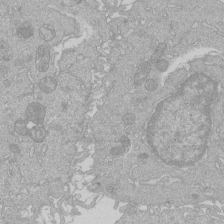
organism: Human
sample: Macrophage cells